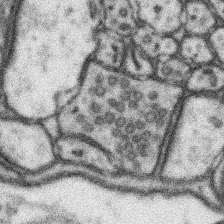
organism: Mouse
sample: Somatosensory cortex neuropil